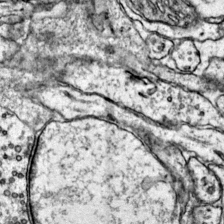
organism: Mouse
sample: Primary visual cortex